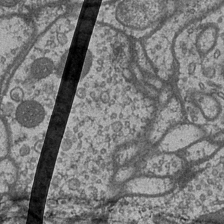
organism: Drosophila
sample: Optic medulla